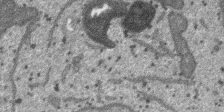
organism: Human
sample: Lung epithelial cells infected with SARS-CoV-2